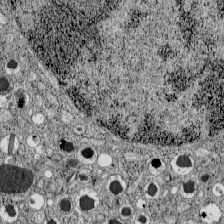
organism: C57BL Mouse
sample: Pancreatic islet